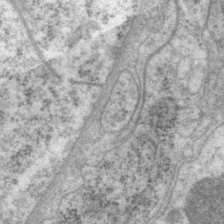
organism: P. pacificus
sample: Pharynx